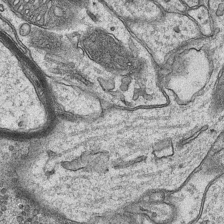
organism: Mouse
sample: CA1 Hippocampus